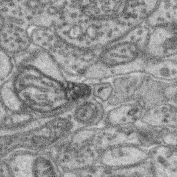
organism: Mouse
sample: Retina